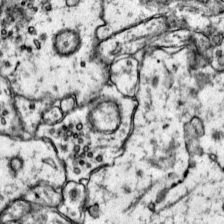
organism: Mouse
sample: Primary visual cortex